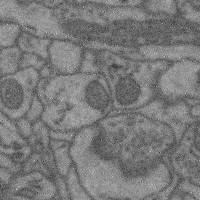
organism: Mouse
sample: Cerebral cortex